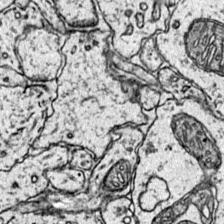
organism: Mouse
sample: Primary visual cortex